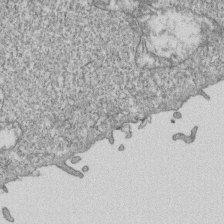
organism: Human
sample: HeLa cell HIV synapse